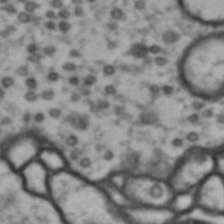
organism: Drosophila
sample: Brain